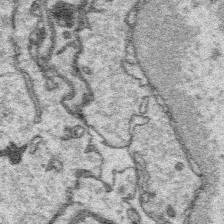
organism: Platynereis dumerilii